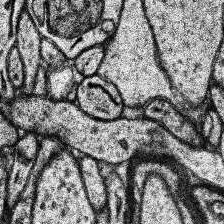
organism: Human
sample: Temporal Lobe